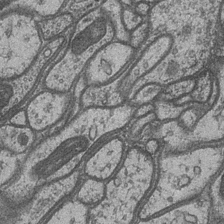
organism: Drosophila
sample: Optic medulla